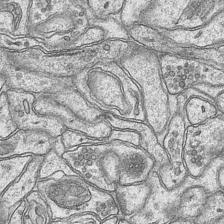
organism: Mouse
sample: CA1 Hippocampus